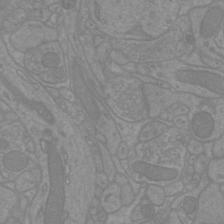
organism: Mouse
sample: Cortical neurons